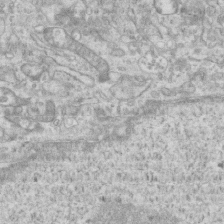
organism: Mouse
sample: Centriole in ependymal cells